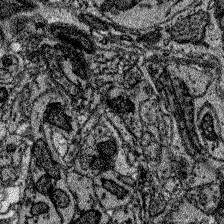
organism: Zebrafish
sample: Larval olfactory bulb